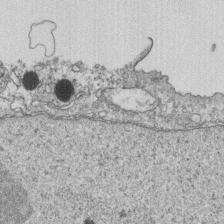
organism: Human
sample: HeLa cell HIV synapse